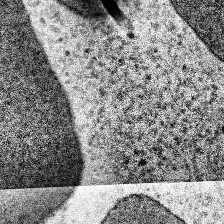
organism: Human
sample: Temporal Lobe